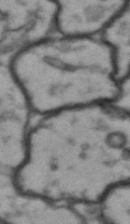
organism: Drosophila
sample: Brain